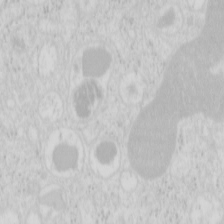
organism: Mouse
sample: Pancreas